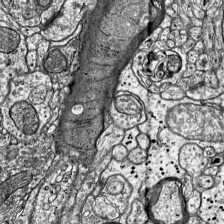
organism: Mouse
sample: Visual Cortex